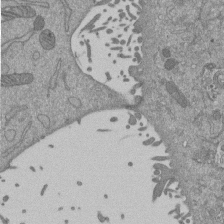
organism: Mouse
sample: ED-1 cell nuclei; centrioles